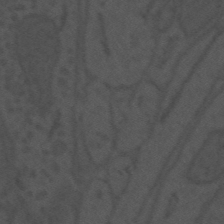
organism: Mouse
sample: Suprachiasmatic nucleus